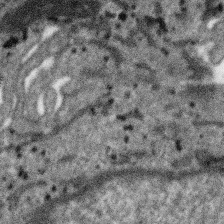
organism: Human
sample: Lung epithelial cells infected with SARS-CoV-2